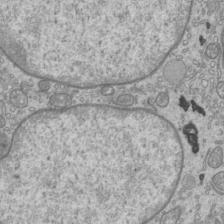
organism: Mouse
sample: Cilia; mouse epididymis